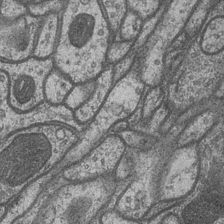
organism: Drosophila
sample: Optic medulla